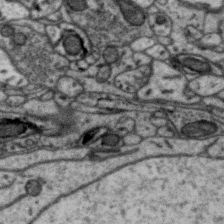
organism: Zebra finch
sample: Brain